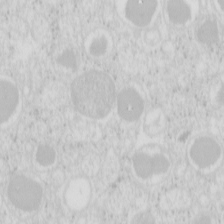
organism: Mouse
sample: Pancreas